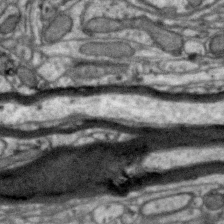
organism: Zebra finch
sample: Brain